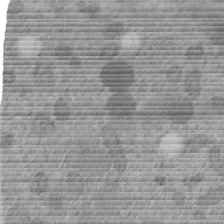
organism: C. elegans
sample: C. elegans embryo early stage